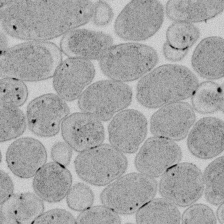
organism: E. coli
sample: Bacterial nucleoid